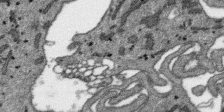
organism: Human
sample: Lung epithelial cells, uninfected (mock) control